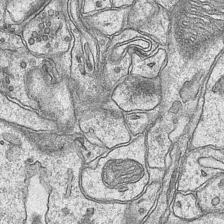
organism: Mouse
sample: CA1 Hippocampus